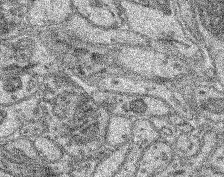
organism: Mouse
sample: Retina